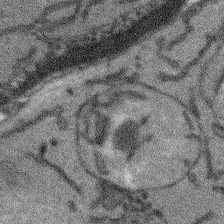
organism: Arabidopsis thaliana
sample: Root tip